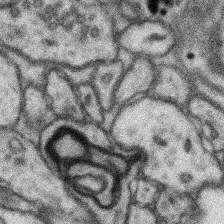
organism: Mouse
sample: Somatosensory cortex neuropil